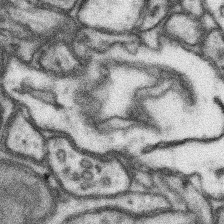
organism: Mouse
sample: Somatosensory cortex neuropil